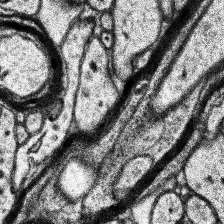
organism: Human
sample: Temporal Lobe